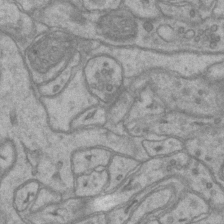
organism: Mouse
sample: CA1 Hippocampus